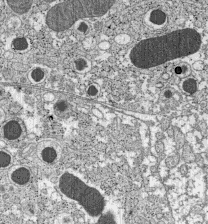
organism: C57BL Mouse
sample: Pancreatic islet